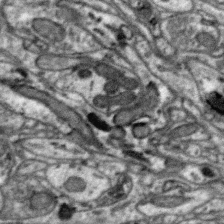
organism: Zebra finch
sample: Brain